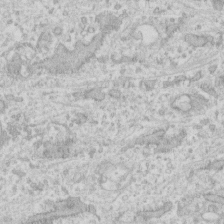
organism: Human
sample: Fibroblast cells